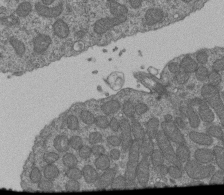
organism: Human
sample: Retinal organoid Rod and Cone cells